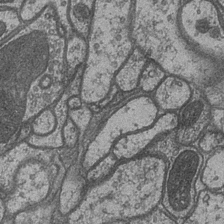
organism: Drosophila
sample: Optic medulla